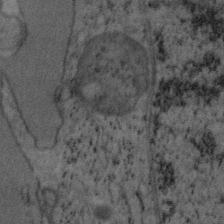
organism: Human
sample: HeLa cells